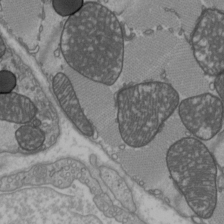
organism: C57BL Mouse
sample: Heart